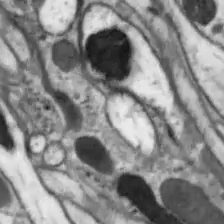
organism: Drosophila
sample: Optic lobe